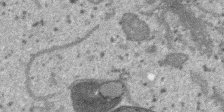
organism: Human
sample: Lung epithelial cells infected with SARS-CoV-2